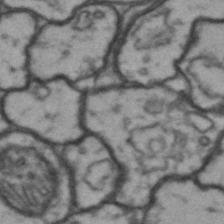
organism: Drosophila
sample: Brain